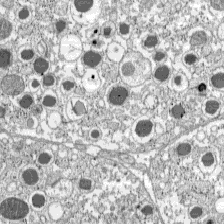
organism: C57BL Mouse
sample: Pancreatic islet